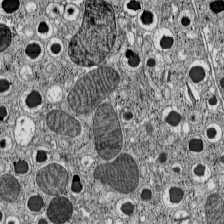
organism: C57BL Mouse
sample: Pancreatic islet